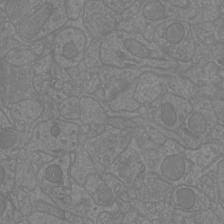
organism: Mouse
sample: Cortical neurons